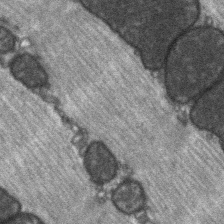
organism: C57BL Mouse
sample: Soleus